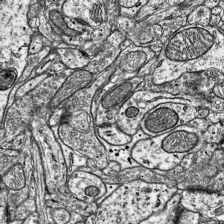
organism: Mouse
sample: Visual Cortex